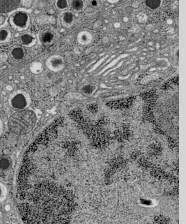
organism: C57BL Mouse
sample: Pancreatic islet